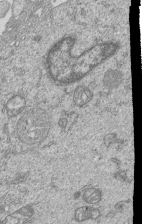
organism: Human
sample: MDA-MB-231 cells